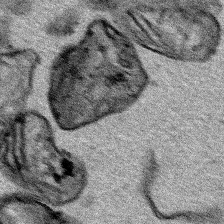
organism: Human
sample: Mitochondria in HCT116 cells